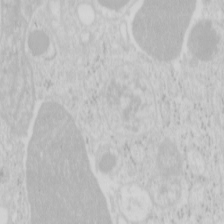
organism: Mouse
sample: Pancreas